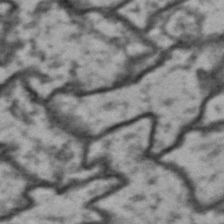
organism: Drosophila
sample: Brain